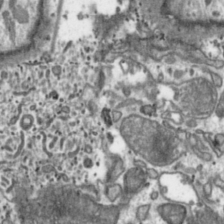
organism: Toxoplasma gondii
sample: Parasites in a vacuole inside a host cell